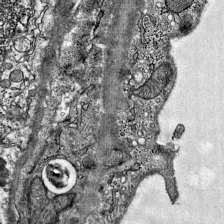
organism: Mouse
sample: Visual Cortex